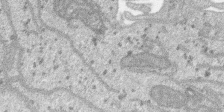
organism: Human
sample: Lung epithelial cells infected with SARS-CoV-2